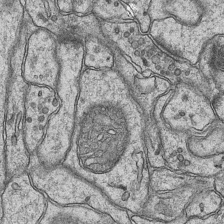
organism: Mouse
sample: CA1 Hippocampus